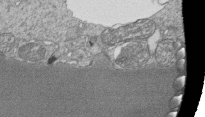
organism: Tetrahymena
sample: Cilia in tetrahymena